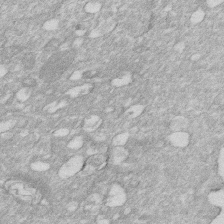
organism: Human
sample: HIV infected U937 cells